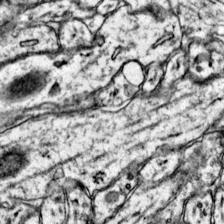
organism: Mouse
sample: Primary visual cortex